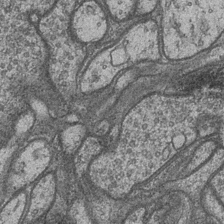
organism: Drosophila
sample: Optic medulla